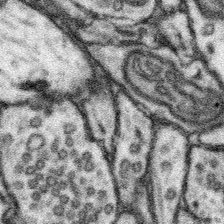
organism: Mouse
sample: Somatosensory cortex neuropil